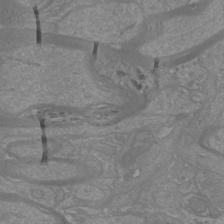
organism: Mouse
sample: Cortical neurons